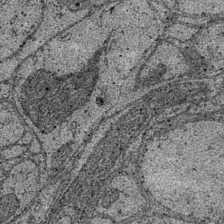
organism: Drosophila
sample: Optic medulla